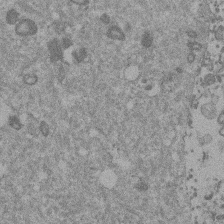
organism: Mouse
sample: Dividing mouse embryo 1 cell stage